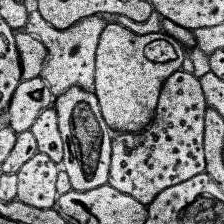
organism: Human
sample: Temporal Lobe